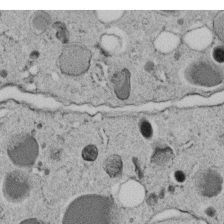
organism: C. elegans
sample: C. elegans embryo early stage